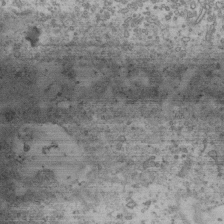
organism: Human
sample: Activated Jurkat CD4+ T cells